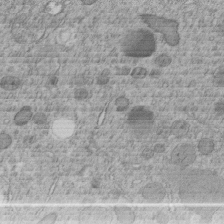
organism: C. elegans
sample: C. elegans embryo early stage